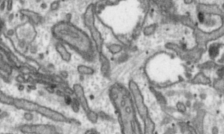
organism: Toxoplasma gondii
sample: Parasites in a vacuole inside a host cell